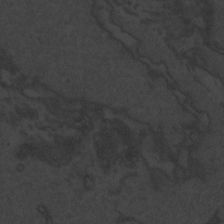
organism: Zebrafish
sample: Macrophage infected with Toxoplasma gondii